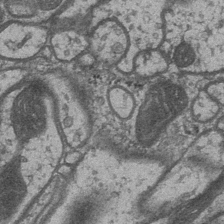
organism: Drosophila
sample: Optic medulla